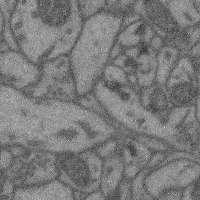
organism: Mouse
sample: Cerebral cortex